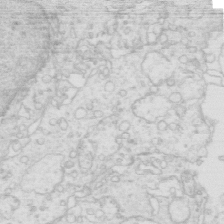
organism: Mouse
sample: Multiciliated cells